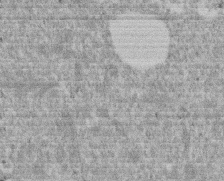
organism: Mouse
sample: Dividing mouse embryo 1 cell stage